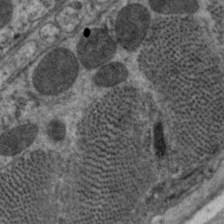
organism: C. elegans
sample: Pharynx